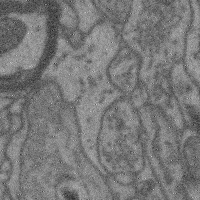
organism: Mouse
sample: Cerebral cortex